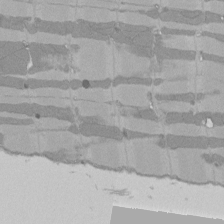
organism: Rat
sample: Left ventricle